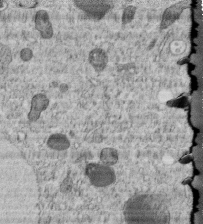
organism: C. elegans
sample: C. elegans embryo early stage